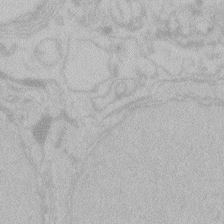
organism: Zebrafish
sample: Macrophage infected with Toxoplasma gondii